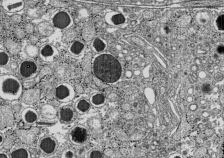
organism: C57BL Mouse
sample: Pancreatic islet